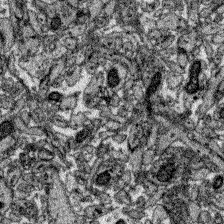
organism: Zebrafish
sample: Larval olfactory bulb